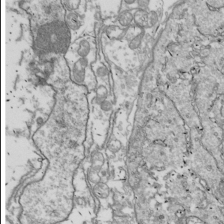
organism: Drosophila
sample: Cell division; meiosis; drosophila spermatocytes